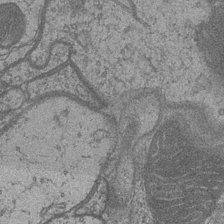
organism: Drosophila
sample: Optic medulla